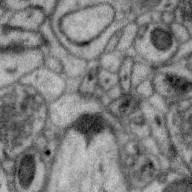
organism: Zebra finch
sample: Brain